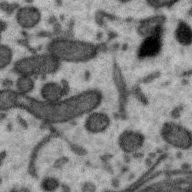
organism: Zebra finch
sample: Brain